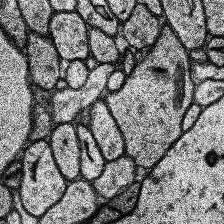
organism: Human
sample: Temporal Lobe